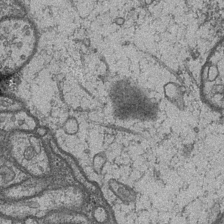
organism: Drosophila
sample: Optic medulla